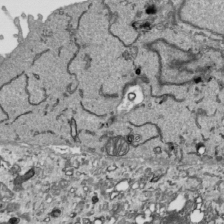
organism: Human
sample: Mitochondria in HCT116 cells